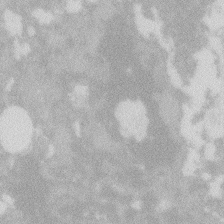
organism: Zebrafish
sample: Macrophage